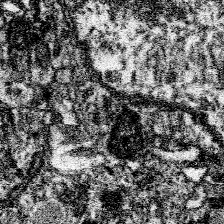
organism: Spongilla lacustris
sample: Neuroid cell